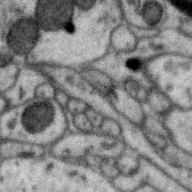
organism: Zebra finch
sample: Brain